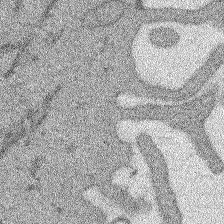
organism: Human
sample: HeLa cells